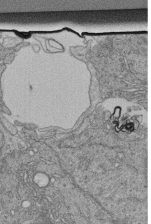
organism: Human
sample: Retinal organoid Rod and Cone cells